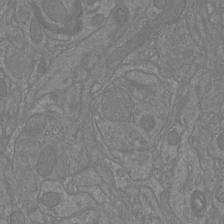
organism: Mouse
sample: Cortical neurons